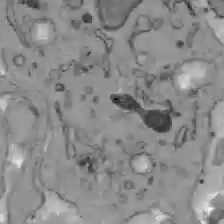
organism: C57BL Mouse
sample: Liver